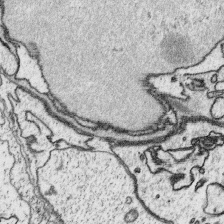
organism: Platynereis dumerilii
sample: Parapodia